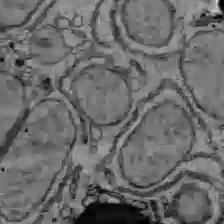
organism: C57BL Mouse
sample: Liver